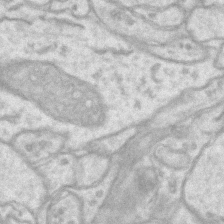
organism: Mouse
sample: CA1 Hippocampus